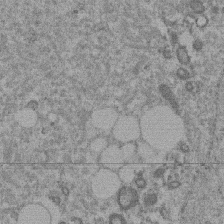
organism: Mouse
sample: Dividing mouse embryo 1 cell stage